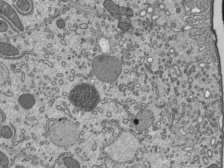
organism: Mouse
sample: Mouse epididymis efferent ductule cilia